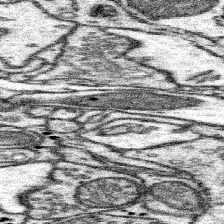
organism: Mouse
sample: Somatosensory cortex neuropil